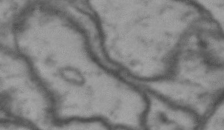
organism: Drosophila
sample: Brain